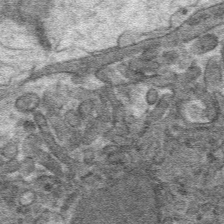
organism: Mouse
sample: Mouse hepatocytes